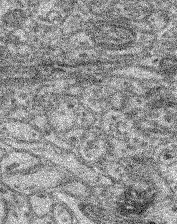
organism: Mouse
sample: Retina